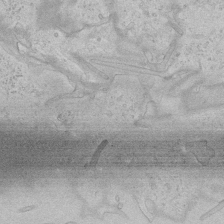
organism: Human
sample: Mitochondria in HCT116 cells